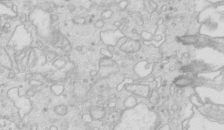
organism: Mouse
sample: Multiciliated cells